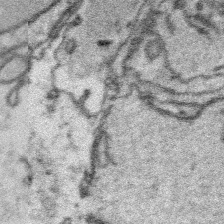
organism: Platynereis dumerilii